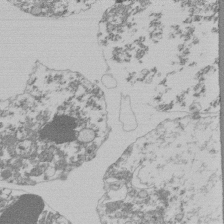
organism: Mouse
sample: Activated Pmel transgenic CD8+ T Cells